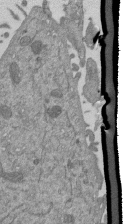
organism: Mouse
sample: ED-1 cell nuclei; centrioles